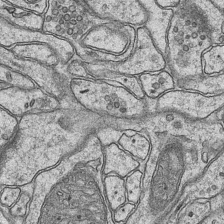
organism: Mouse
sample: CA1 Hippocampus